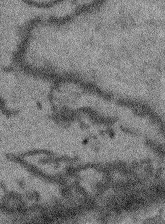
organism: Arabidopsis thaliana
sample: Root tip